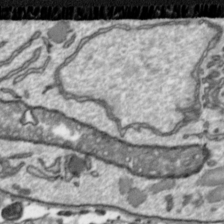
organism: Toxoplasma gondii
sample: Parasites in a vacuole inside a host cell